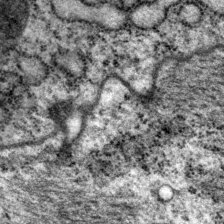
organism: P. pacificus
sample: Pharynx